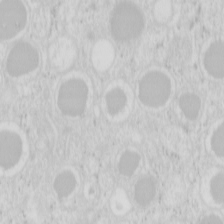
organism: Mouse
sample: Pancreas